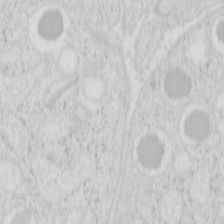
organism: Mouse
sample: Pancreas